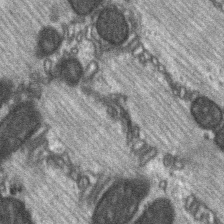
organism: C57BL Mouse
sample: Soleus